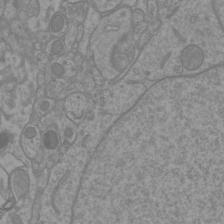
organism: Mouse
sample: Cortical neurons